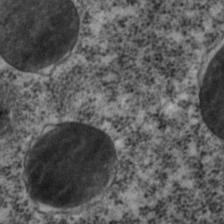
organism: C. elegans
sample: C. elegans embryo